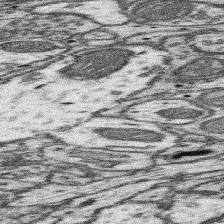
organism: Mouse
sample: Somatosensory cortex neuropil